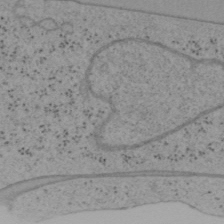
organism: Human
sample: HeLa cells